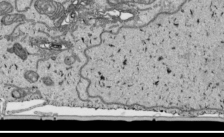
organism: Human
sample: Mitochondria in HCT116 cells